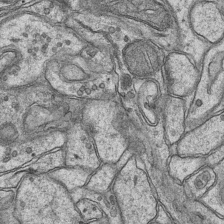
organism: Mouse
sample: CA1 Hippocampus